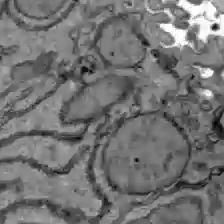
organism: C57BL Mouse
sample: Liver